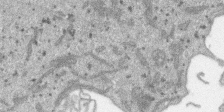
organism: Human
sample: Lung epithelial cells infected with SARS-CoV-2